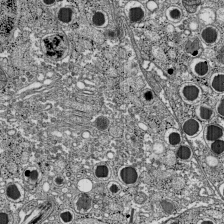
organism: C57BL Mouse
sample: Pancreatic islet